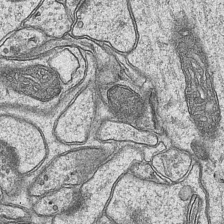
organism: Mouse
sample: CA1 Hippocampus